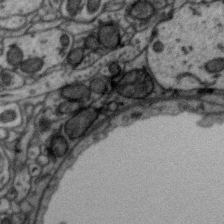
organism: Zebra finch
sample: Brain